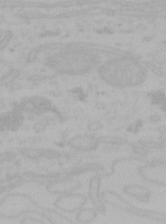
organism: Mouse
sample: Choroid plexus